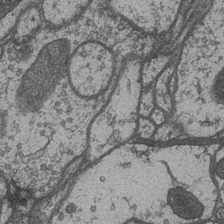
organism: Drosophila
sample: Optic medulla